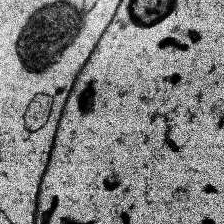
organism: Human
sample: Temporal Lobe